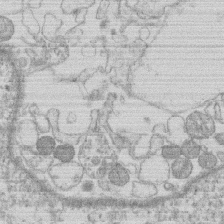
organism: Human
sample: Macrophage cells